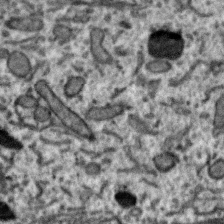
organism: Zebra finch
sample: Brain